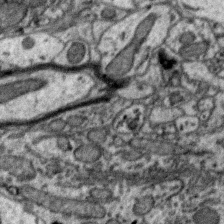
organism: Zebra finch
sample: Brain